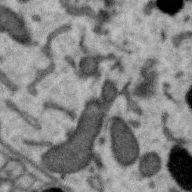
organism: Zebra finch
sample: Brain